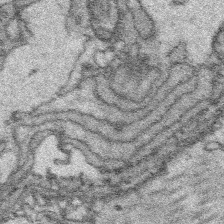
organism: Platynereis dumerilii